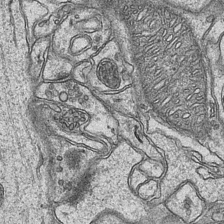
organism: Mouse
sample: CA1 Hippocampus